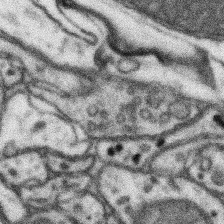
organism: Mouse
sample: Somatosensory cortex neuropil